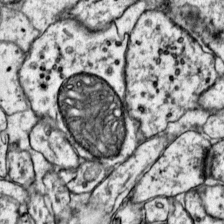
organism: Mouse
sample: Primary visual cortex